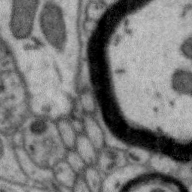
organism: Zebra finch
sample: Brain